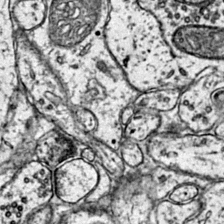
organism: Mouse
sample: Primary visual cortex